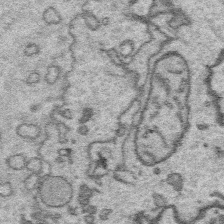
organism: Platynereis dumerilii